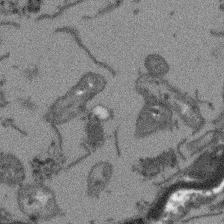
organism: Arabidopsis thaliana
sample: Root tip